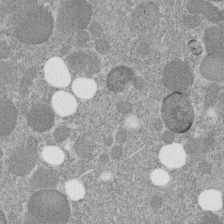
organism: C. elegans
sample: C. elegans embryo early stage